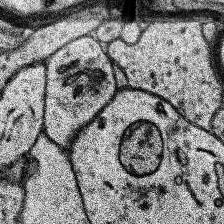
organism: Human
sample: Temporal Lobe